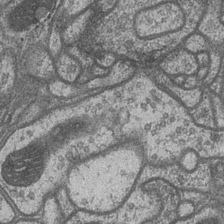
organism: Drosophila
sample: Optic medulla